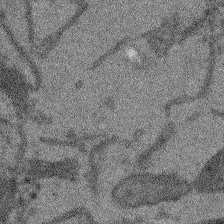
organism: Arabidopsis thaliana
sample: Root tip